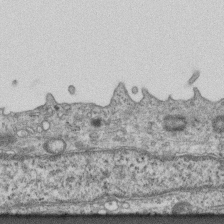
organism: Mouse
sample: Centriole in ependymal cells